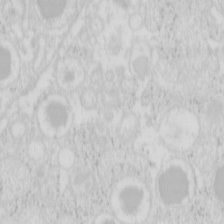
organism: Mouse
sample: Pancreas